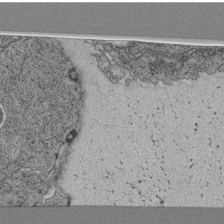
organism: C. elegans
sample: C. elegans pharynx